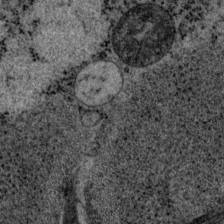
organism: P. pacificus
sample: Pharynx